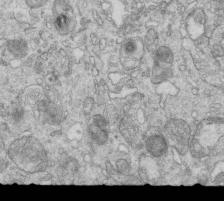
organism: Mouse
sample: Multiciliated cells